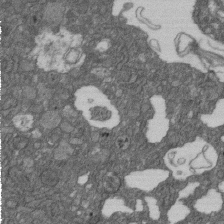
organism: Drosophila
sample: Nephrocyte